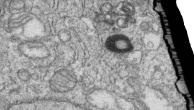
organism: Human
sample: HeLa cell HIV synapse